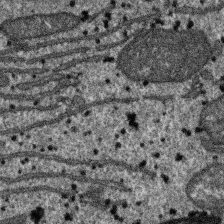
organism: Human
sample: Lung epithelial cells infected with SARS-CoV-2